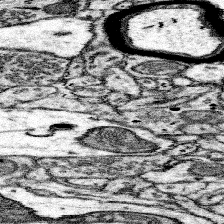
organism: Mouse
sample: Somatosensory cortex neuropil